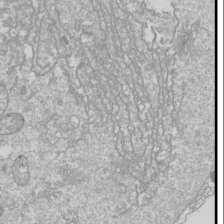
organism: Drosophila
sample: Cell division; meiosis; drosophila spermatocytes